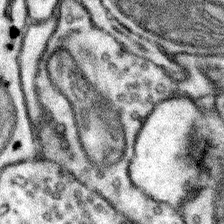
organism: Mouse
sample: Somatosensory cortex neuropil